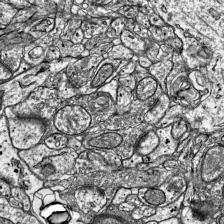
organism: Mouse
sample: Visual Cortex